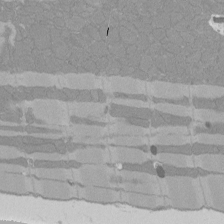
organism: Rat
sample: Left ventricle